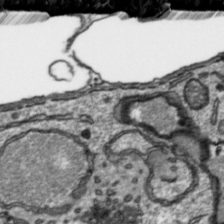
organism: Toxoplasma gondii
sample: Parasites in a vacuole inside a host cell